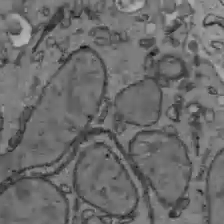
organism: C57BL Mouse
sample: Liver